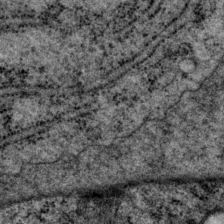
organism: P. pacificus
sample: Pharynx